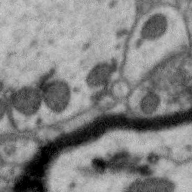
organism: Zebra finch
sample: Brain